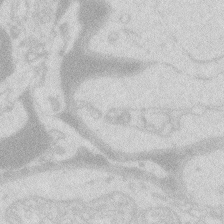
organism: Zebrafish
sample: Macrophage